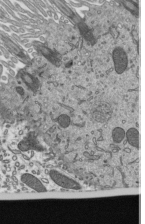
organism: Mouse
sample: Mouse epididymis efferent ductule cilia